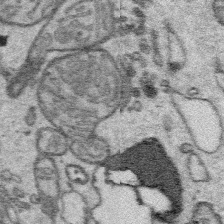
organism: Platynereis dumerilii